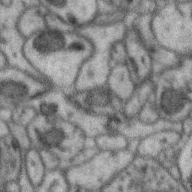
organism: Zebra finch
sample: Brain